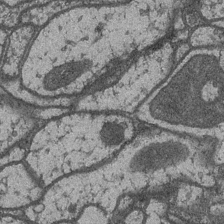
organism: Drosophila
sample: Optic medulla